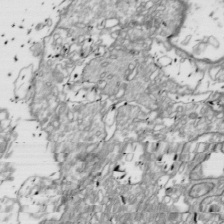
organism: Drosophila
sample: Cell division; meiosis; drosophila spermatocytes